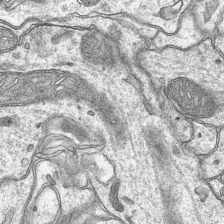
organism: Mouse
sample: CA1 Hippocampus